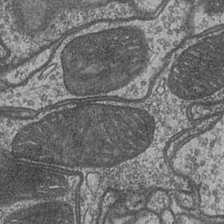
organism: Drosophila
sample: Optic medulla